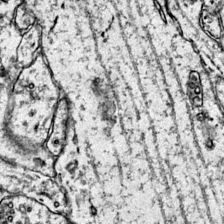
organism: Mouse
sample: Primary visual cortex